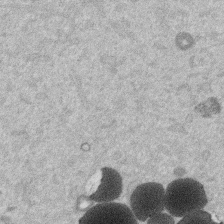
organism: Mouse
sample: Dividing mouse embryo 1 cell stage